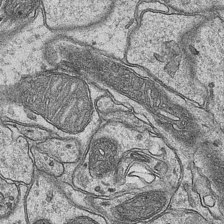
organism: Mouse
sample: CA1 Hippocampus